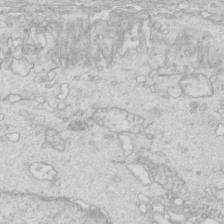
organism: Mouse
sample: Multiciliated cells